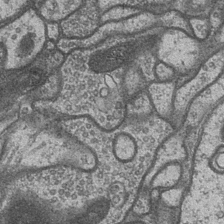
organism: Drosophila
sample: Optic medulla